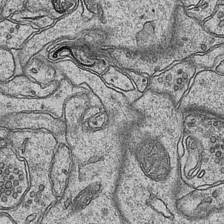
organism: Mouse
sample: CA1 Hippocampus